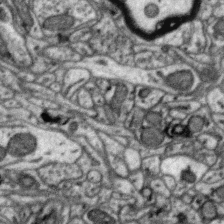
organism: Zebra finch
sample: Brain